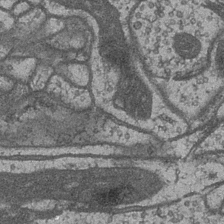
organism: Drosophila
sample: Optic medulla